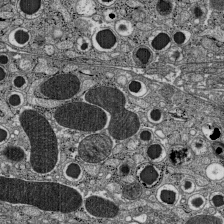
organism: C57BL Mouse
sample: Pancreatic islet